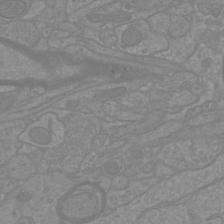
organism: Mouse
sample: Cortical neurons